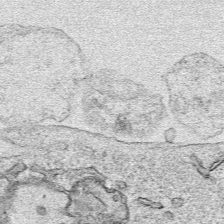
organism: Human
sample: Mitochondria in HCT116 cells